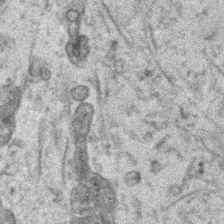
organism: Human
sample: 1205lu cells